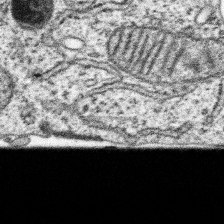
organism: Human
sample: HeLa cells